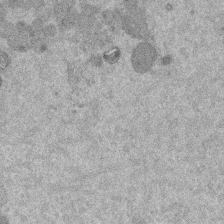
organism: Mouse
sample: Dividing mouse embryo 1 cell stage